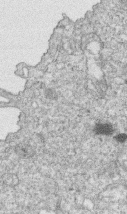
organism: Human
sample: HeLa cell HIV synapse